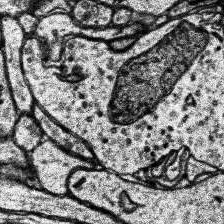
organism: Human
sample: Temporal Lobe